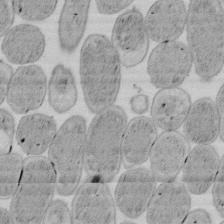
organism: E. coli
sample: Bacterial nucleoid